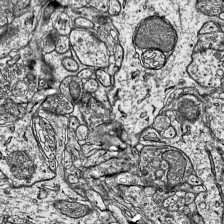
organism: Mouse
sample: Visual Cortex